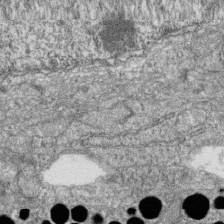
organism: Zebrafish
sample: Cilia; retinal pigment epithelium